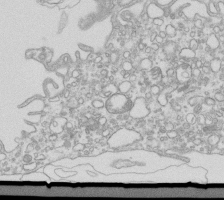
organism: Mouse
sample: Macrophages